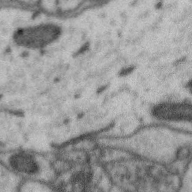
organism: Zebra finch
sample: Brain